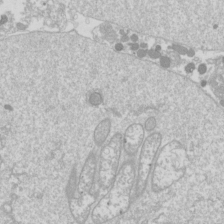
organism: Drosophila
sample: Cell division; meiosis; drosophila spermatocytes